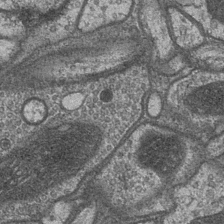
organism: Drosophila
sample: Optic medulla